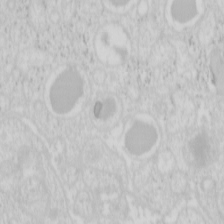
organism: Mouse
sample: Pancreas